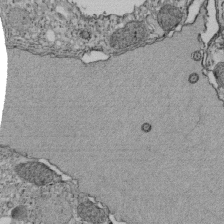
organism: Tetrahymena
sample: Cilia in tetrahymena